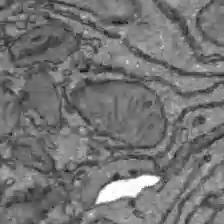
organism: C57BL Mouse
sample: Liver